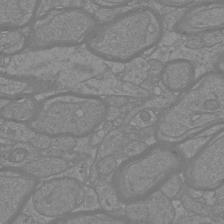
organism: Mouse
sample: Cortical neurons